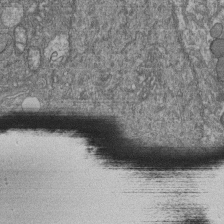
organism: Human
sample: Retinal organoid Rod and Cone cells